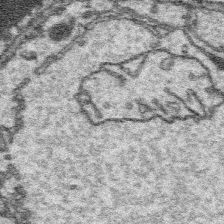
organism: Platynereis dumerilii